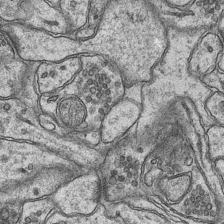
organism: Mouse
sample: CA1 Hippocampus